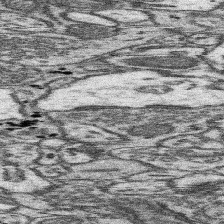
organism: Mouse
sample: Somatosensory cortex neuropil